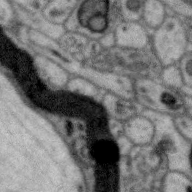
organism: Zebra finch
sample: Brain